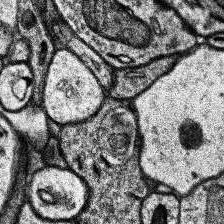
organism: Human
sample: Temporal Lobe